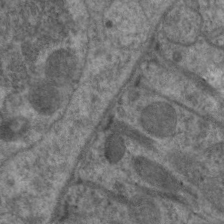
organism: C. elegans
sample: Pharynx